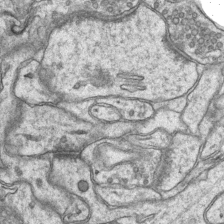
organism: Mouse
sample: CA1 Hippocampus